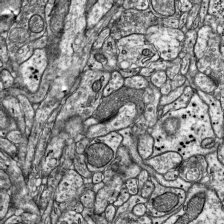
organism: Mouse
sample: Visual Cortex